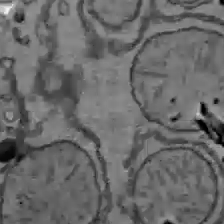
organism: C57BL Mouse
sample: Liver